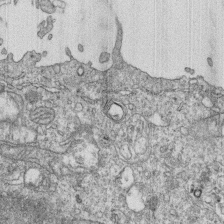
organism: Human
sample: HeLa cell HIV synapse